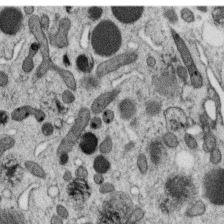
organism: C. elegans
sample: C. elegans oocyte; sperm cells